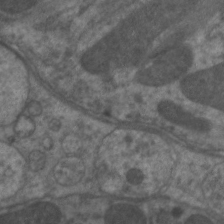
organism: C. elegans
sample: Pharynx